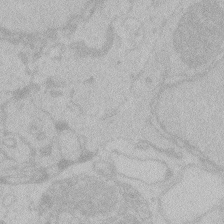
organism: Zebrafish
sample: Macrophage infected with Toxoplasma gondii